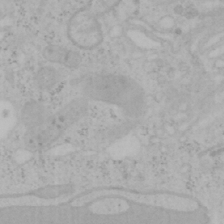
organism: Mouse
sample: OT-I killer T cells with ID8 ovarian cancer cells